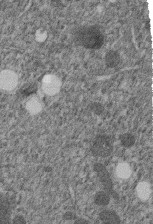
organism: C. elegans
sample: C. elegans embryo early stage